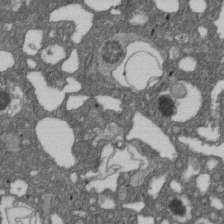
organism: Drosophila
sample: Nephrocyte